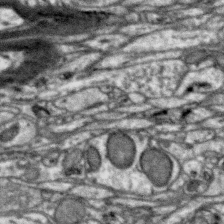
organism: Zebra finch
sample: Brain